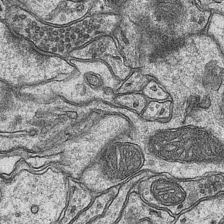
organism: Mouse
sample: CA1 Hippocampus